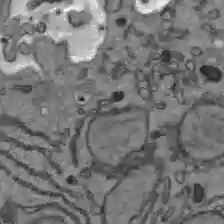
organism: C57BL Mouse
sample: Liver